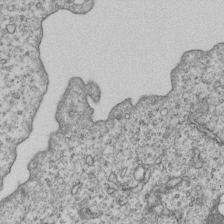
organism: Human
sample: MDA-MB-231 cells